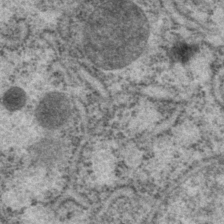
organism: P. pacificus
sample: Pharynx